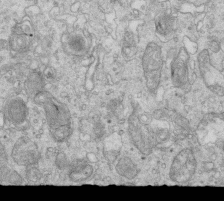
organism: Mouse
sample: Multiciliated cells